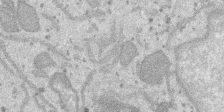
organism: Human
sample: Lung epithelial cells infected with SARS-CoV-2